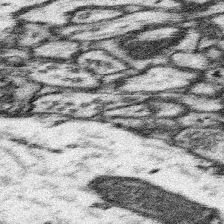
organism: Mouse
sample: Somatosensory cortex neuropil